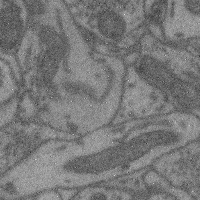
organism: Mouse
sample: Cerebral cortex